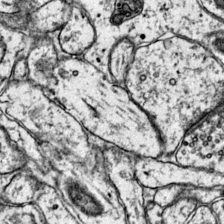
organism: Mouse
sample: Primary visual cortex